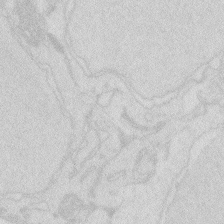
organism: Zebrafish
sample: Macrophage